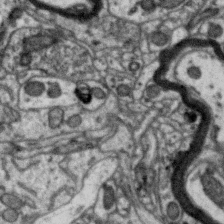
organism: Zebra finch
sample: Brain